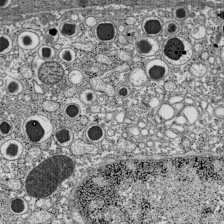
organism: C57BL Mouse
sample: Pancreatic islet